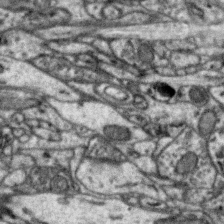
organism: Zebra finch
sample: Brain